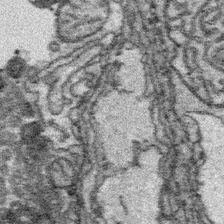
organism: Platynereis dumerilii